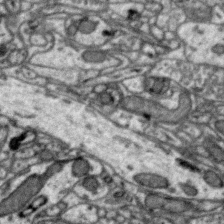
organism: Zebra finch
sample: Brain